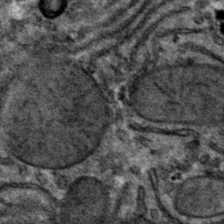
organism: Mouse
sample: Mouse hepatocytes